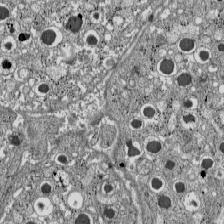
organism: C57BL Mouse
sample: Pancreatic islet